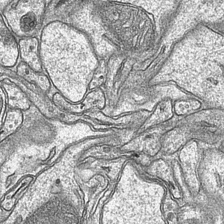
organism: Mouse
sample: CA1 Hippocampus